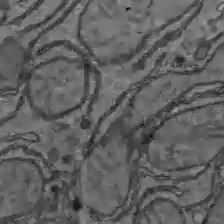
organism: C57BL Mouse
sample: Liver